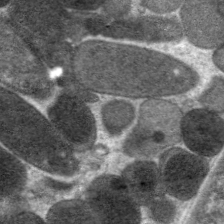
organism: C. elegans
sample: Pharynx